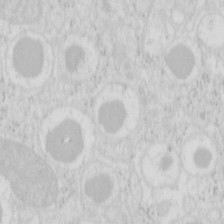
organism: Mouse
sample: Pancreas